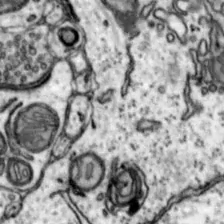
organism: Mouse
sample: Nucleus accumbens